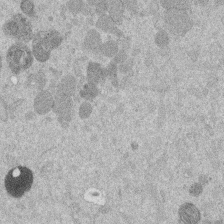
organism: Mouse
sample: Dividing mouse embryo 1 cell stage